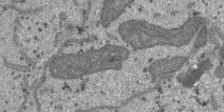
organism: Human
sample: Lung epithelial cells infected with SARS-CoV-2